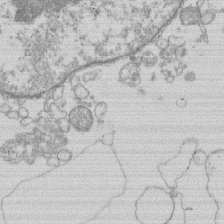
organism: Human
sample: Macrophage cells